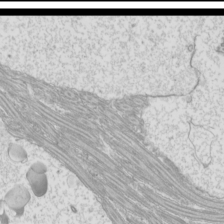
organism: Mouse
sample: Cilia; mouse epididymis